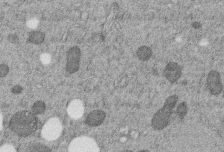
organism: C. elegans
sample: C. elegans embryo early stage